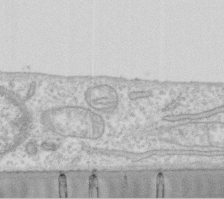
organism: Human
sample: Fibroblast cells